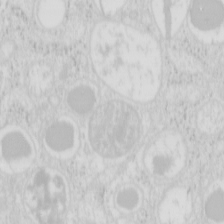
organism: Mouse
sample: Pancreas